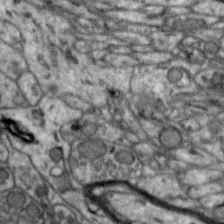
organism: Zebra finch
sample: Brain